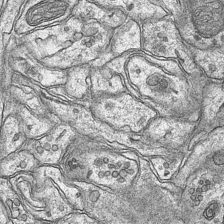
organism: Mouse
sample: CA1 Hippocampus